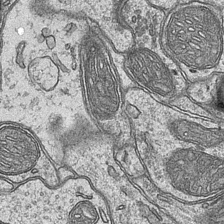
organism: Mouse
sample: CA1 Hippocampus